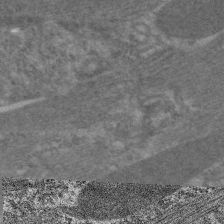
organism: C. elegans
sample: Pharynx